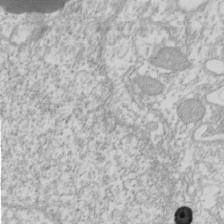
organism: Xenopus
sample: Cilia; centrioles in frog embryo cells